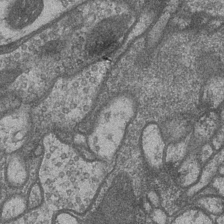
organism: Drosophila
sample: Optic medulla